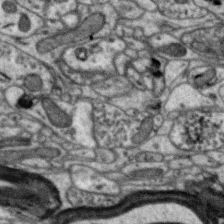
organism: Zebra finch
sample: Brain